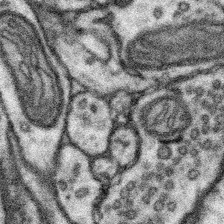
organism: Mouse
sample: Somatosensory cortex neuropil